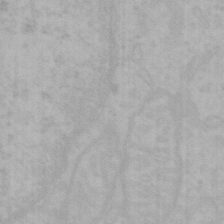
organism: Mouse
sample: Choroid plexus